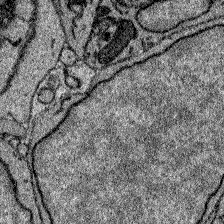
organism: Zebrafish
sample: Larval olfactory bulb